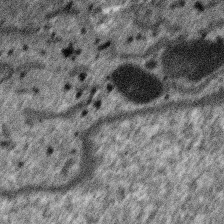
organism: Human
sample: Lung epithelial cells infected with SARS-CoV-2